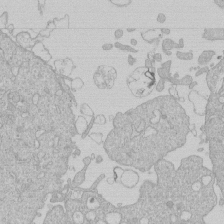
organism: Human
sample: Macrophage cells